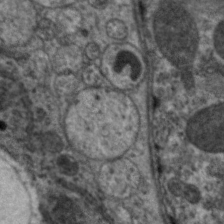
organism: C. elegans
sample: Pharynx